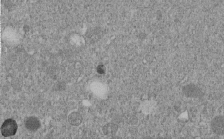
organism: C. elegans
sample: C. elegans embryo early stage